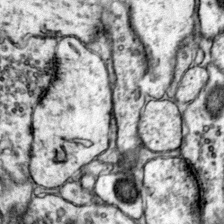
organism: Mouse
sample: Primary visual cortex